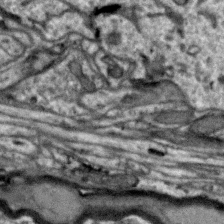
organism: Zebra finch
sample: Brain